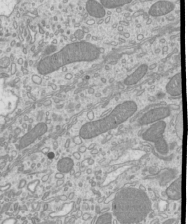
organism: Mouse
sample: Cilia; mouse epididymis